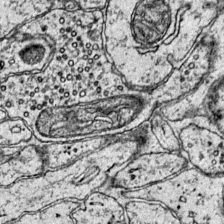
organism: Mouse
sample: Primary visual cortex